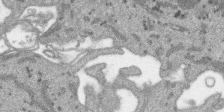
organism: Human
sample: Lung epithelial cells infected with SARS-CoV-2